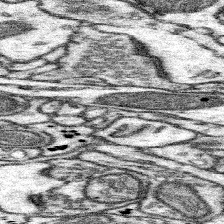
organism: Mouse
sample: Somatosensory cortex neuropil